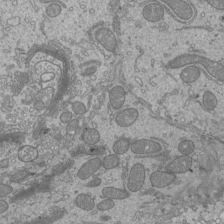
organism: Mouse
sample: Cilia; mouse epididymis